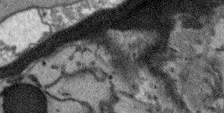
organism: Arabidopsis thaliana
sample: Root tip